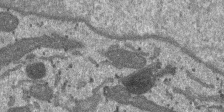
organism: Human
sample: Lung epithelial cells infected with SARS-CoV-2